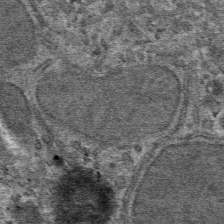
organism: Mouse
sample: Mouse hepatocytes